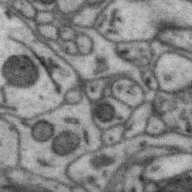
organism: Zebra finch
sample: Brain